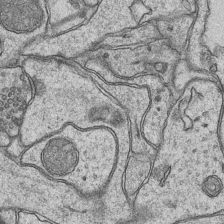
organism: Mouse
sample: CA1 Hippocampus